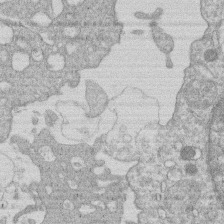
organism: Human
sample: Macrophage cells